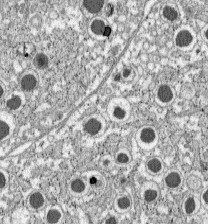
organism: C57BL Mouse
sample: Pancreatic islet